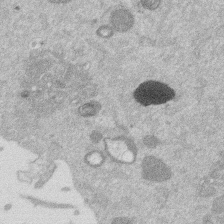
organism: Mouse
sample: Dividing mouse embryo 1 cell stage